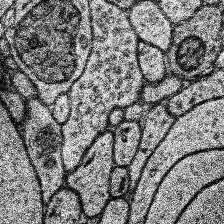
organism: Human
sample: Temporal Lobe